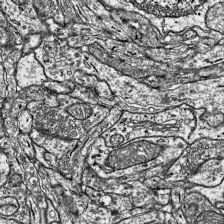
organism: Mouse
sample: Visual Cortex